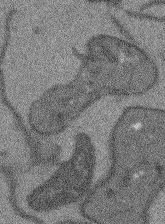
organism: Arabidopsis thaliana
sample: Root tip